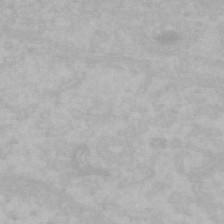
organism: Mouse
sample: Choroid plexus